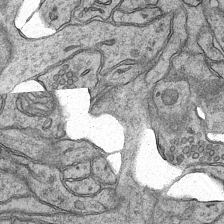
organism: Mouse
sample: CA1 Hippocampus